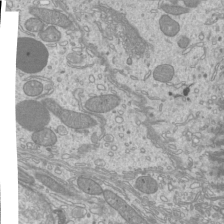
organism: Mouse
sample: Cilia; mouse epididymis